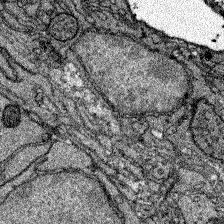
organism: Zebrafish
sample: Larval olfactory bulb